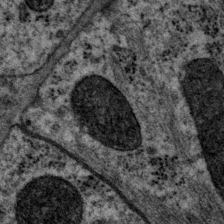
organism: P. pacificus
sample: Pharynx